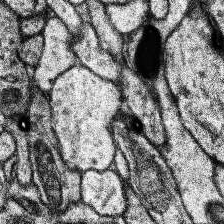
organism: Human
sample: Temporal Lobe